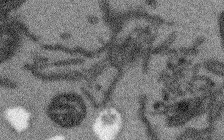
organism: Arabidopsis thaliana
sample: Root tip